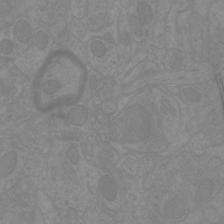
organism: Mouse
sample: Cortical neurons